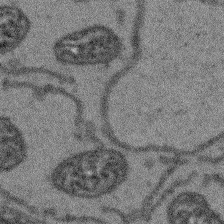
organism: Arabidopsis thaliana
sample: Root tip